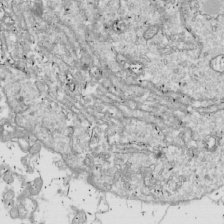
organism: Drosophila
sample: Cell division; meiosis; drosophila spermatocytes